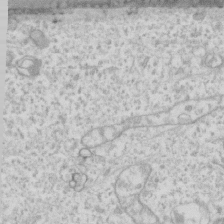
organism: Human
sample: Fibroblast cells